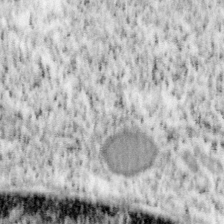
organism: Mouse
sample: OT-I killer T cells with ID8 ovarian cancer cells